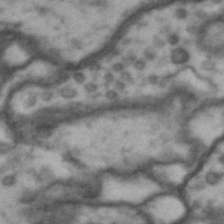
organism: Drosophila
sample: Brain